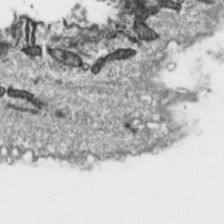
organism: Toxoplasma gondii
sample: Parasites in a vacuole inside a host cell